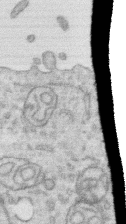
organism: Human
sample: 1205lu cells